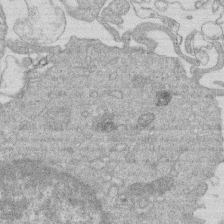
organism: Human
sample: Macrophage cells